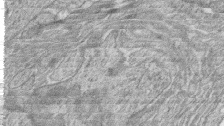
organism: Zebrafish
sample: synaptic ribbons in rod cells and cone cells